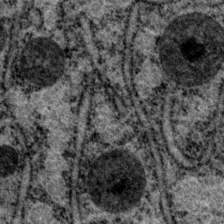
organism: P. pacificus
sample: Pharynx